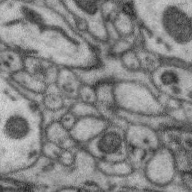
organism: Zebra finch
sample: Brain